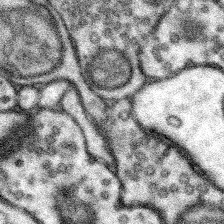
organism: Mouse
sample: Somatosensory cortex neuropil